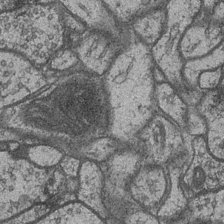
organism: Drosophila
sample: Optic medulla